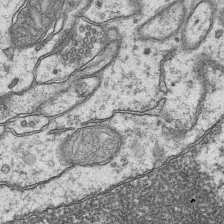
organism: Mouse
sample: CA1 Hippocampus